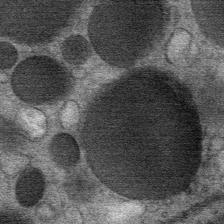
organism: Mouse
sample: Mouse Salivary gland